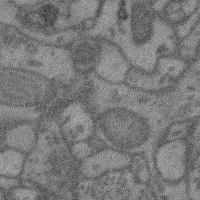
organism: Mouse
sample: Cerebral cortex